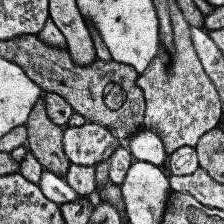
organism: Human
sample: Temporal Lobe